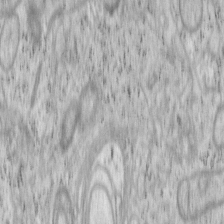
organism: Human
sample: HeLa cells